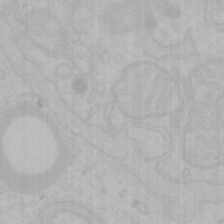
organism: Mouse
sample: Choroid plexus